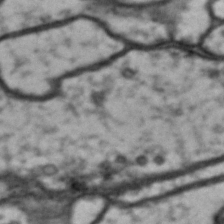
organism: Drosophila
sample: Brain